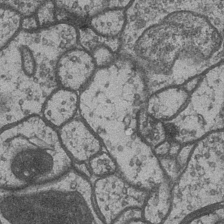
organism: Drosophila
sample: Optic medulla